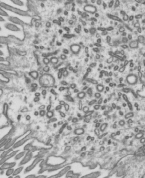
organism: Mouse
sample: Mouse epididymis efferent ductule cilia